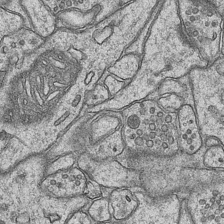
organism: Mouse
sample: CA1 Hippocampus